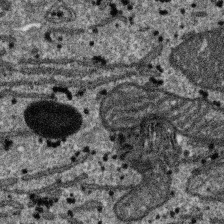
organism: Human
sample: Lung epithelial cells infected with SARS-CoV-2